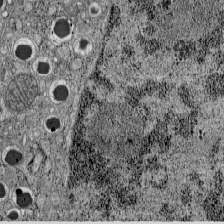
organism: C57BL Mouse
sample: Pancreatic islet